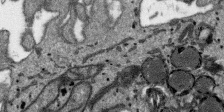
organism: Human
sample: Lung epithelial cells, uninfected (mock) control